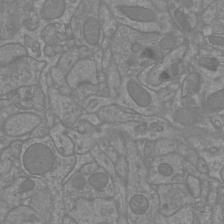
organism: Mouse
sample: Cortical neurons